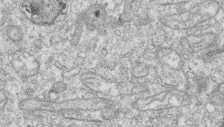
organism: Human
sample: HeLa cell HIV synapse